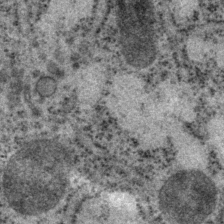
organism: P. pacificus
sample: Pharynx